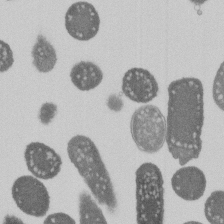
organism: E. coli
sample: Bacterial nucleoid